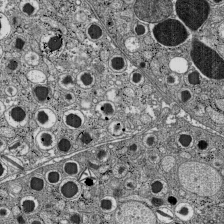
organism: C57BL Mouse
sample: Pancreatic islet